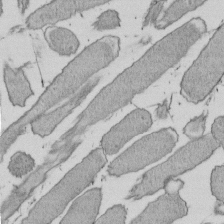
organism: E. coli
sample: Bacterial nucleoid